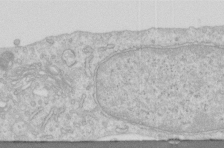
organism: Human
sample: Centriole in RPE cells